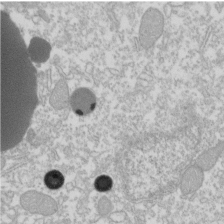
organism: Xenopus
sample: Cilia; centrioles in frog embryo cells